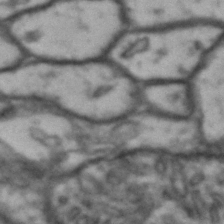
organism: Drosophila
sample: Brain